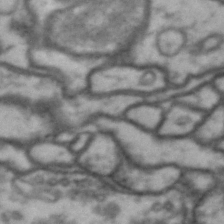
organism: Drosophila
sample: Brain